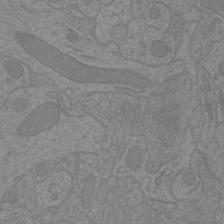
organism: Mouse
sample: Cortical neurons